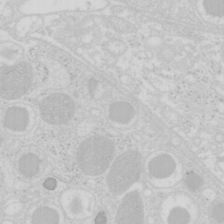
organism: Mouse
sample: Pancreas